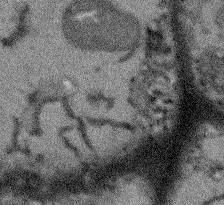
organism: Arabidopsis thaliana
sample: Root tip